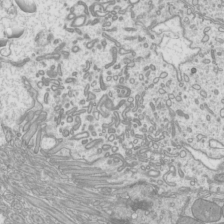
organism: Mouse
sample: Cilia; mouse epididymis